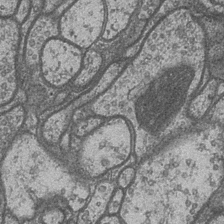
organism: Drosophila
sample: Optic medulla